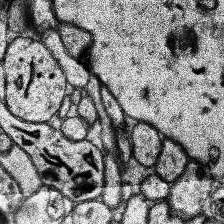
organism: Human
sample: Temporal Lobe